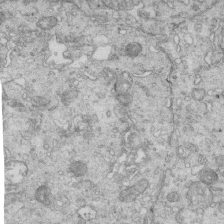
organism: Mouse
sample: Multiciliated cells